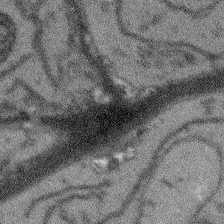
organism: Arabidopsis thaliana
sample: Root tip